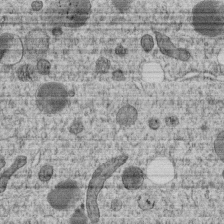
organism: C. elegans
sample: C. elegans embryo early stage